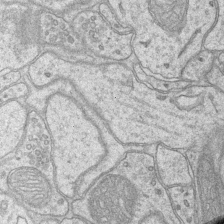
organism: Mouse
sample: CA1 Hippocampus